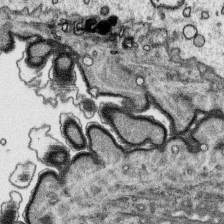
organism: Platynereis dumerilii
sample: Parapodia